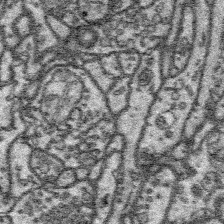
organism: Platynereis dumerilii